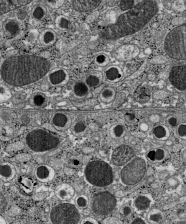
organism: C57BL Mouse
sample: Pancreatic islet